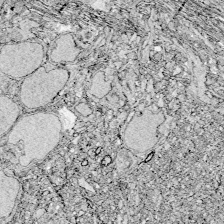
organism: Zebrafish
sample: Whole-Brain